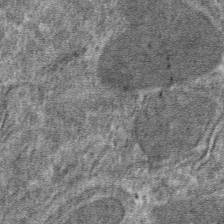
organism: Mouse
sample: Mouse hepatocytes